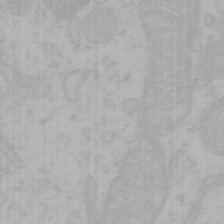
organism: Mouse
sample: Choroid plexus